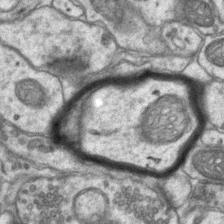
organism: Mouse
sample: CA1 Hippocampus